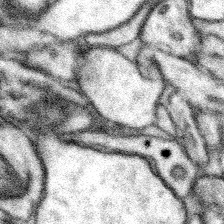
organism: Mouse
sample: Somatosensory cortex neuropil